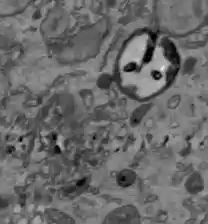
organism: C57BL Mouse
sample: Liver